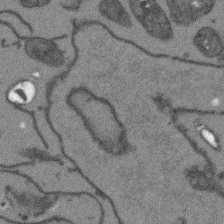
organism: Arabidopsis thaliana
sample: Root tip